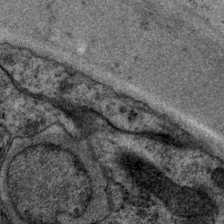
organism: P. pacificus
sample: Pharynx